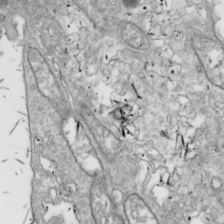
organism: Drosophila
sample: Cell division; meiosis; drosophila spermatocytes